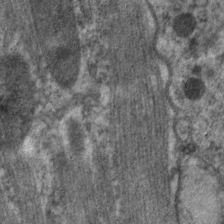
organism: C. elegans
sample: Pharynx